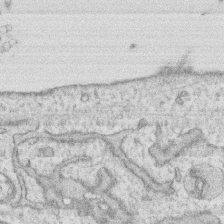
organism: Human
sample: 1205lu cells